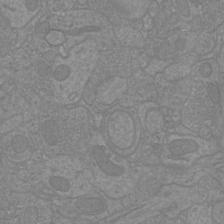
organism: Mouse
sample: Cortical neurons